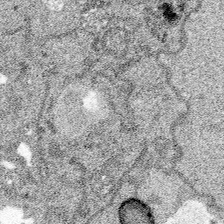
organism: Spongilla lacustris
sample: Multiple